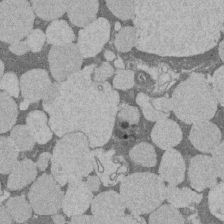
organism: Rat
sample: Salivary granule